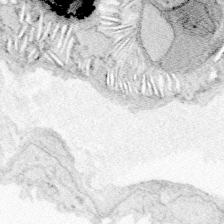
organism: Zebrafish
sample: Whole-Brain